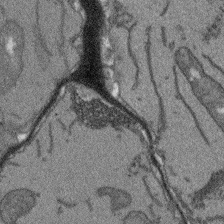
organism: Arabidopsis thaliana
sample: Root tip